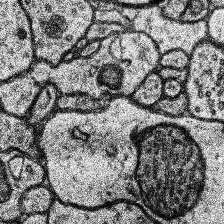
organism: Human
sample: Temporal Lobe